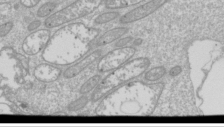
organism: Drosophila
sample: Cell division; meiosis; drosophila spermatocytes